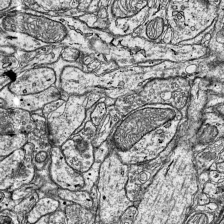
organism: Mouse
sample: Visual Cortex